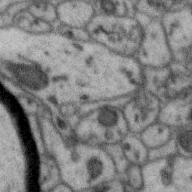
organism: Zebra finch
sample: Brain